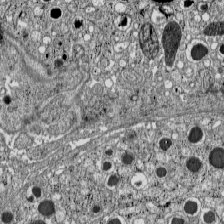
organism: C57BL Mouse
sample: Pancreatic islet